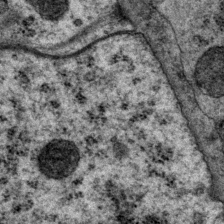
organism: P. pacificus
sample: Pharynx